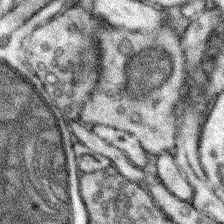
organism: Mouse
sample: Somatosensory cortex neuropil